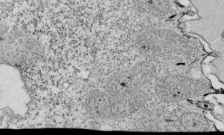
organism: Tetrahymena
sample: Cilia in tetrahymena